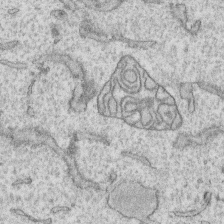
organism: Human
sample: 1205lu cells